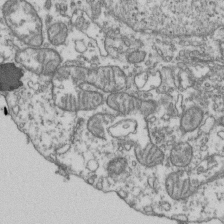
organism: Human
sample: Activated Jurkat CD4+ T cells